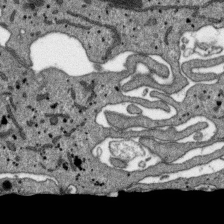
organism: Human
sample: Lung epithelial cells, uninfected (mock) control